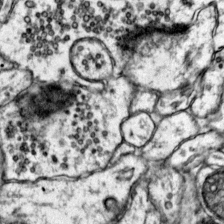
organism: Mouse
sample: Primary visual cortex